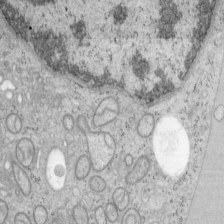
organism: Mouse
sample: OT-I killer T cells with ID8 ovarian cancer cells